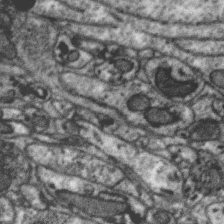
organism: Zebra finch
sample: Brain